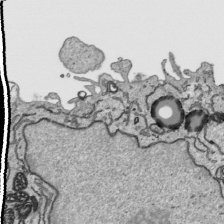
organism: Human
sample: Mitochondria in HCT116 cells